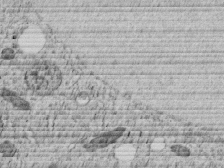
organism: C. elegans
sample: C. elegans embryo early stage